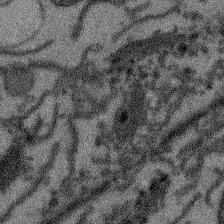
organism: Arabidopsis thaliana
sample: Root tip